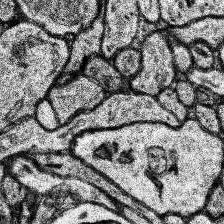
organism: Human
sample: Temporal Lobe